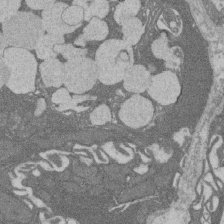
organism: Rat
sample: Salivary granule